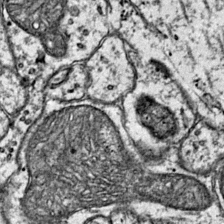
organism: Mouse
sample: Primary visual cortex